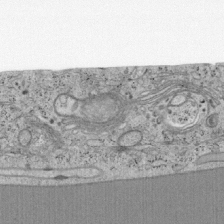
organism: Human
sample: HeLa cells